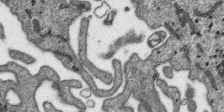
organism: Human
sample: Lung epithelial cells infected with SARS-CoV-2